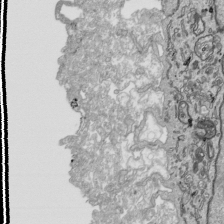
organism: Human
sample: Mitochondria in HCT116 cells